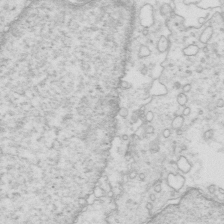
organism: Mouse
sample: Multiciliated cells